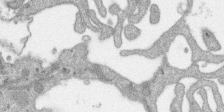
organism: Human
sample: Lung epithelial cells infected with SARS-CoV-2